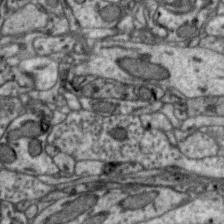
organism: Zebra finch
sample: Brain